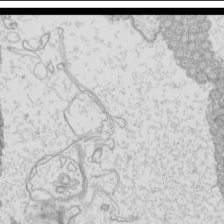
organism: Mouse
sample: Cilia; mouse epididymis